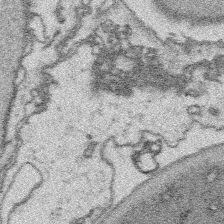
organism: Platynereis dumerilii